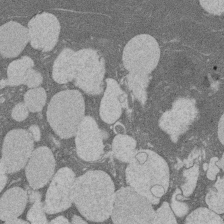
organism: Rat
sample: Salivary granule